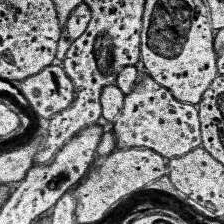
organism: Human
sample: Temporal Lobe